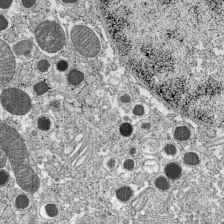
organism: C57BL Mouse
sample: Pancreatic islet